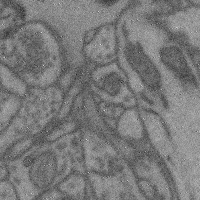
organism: Mouse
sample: Cerebral cortex